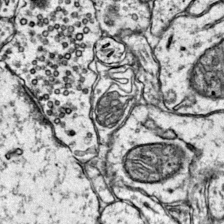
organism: Mouse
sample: Primary visual cortex